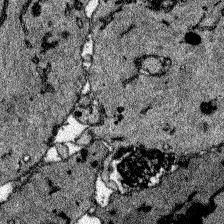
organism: Zebrafish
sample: Larval olfactory bulb